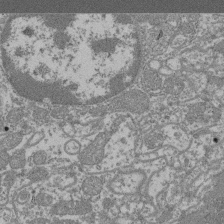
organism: Mouse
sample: Glomerulus